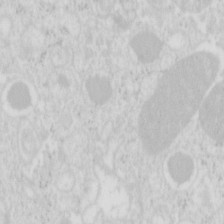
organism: Mouse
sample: Pancreas